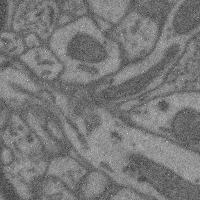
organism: Mouse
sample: Cerebral cortex